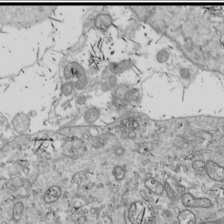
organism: Drosophila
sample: Cell division; meiosis; drosophila spermatocytes